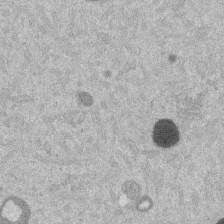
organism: Mouse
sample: Dividing mouse embryo 1 cell stage